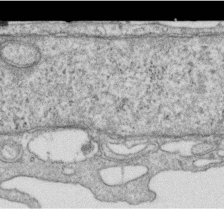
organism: Human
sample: Centriole in RPE cells